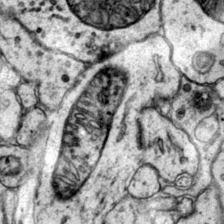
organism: Mouse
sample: Primary visual cortex